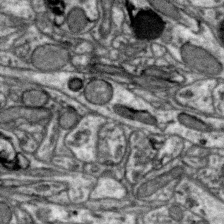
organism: Zebra finch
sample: Brain